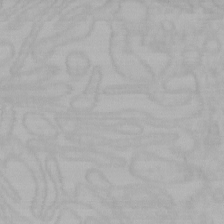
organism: Mouse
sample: Choroid plexus